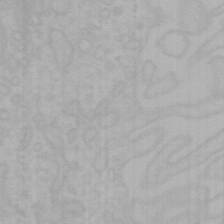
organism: Mouse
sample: Choroid plexus